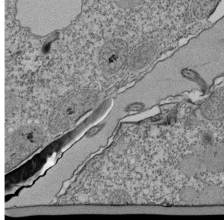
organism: Tetrahymena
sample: Cilia in tetrahymena